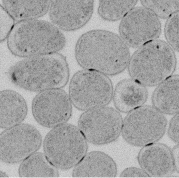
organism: E. coli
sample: Bacterial nucleoid